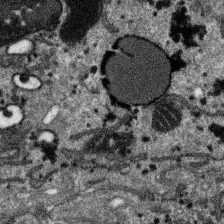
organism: Human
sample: Lung epithelial cells infected with SARS-CoV-2